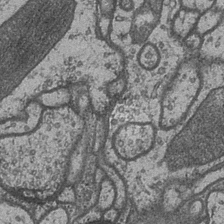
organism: Drosophila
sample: Optic medulla